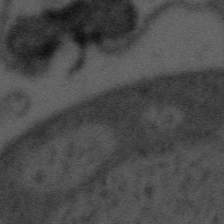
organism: Tuwongella immobilis